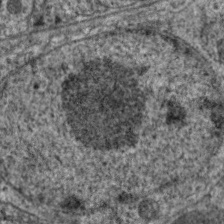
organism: C. elegans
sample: Pharynx